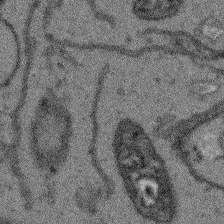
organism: Arabidopsis thaliana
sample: Root tip